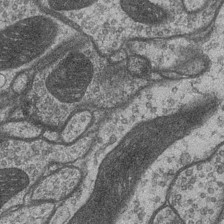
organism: Drosophila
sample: Optic medulla